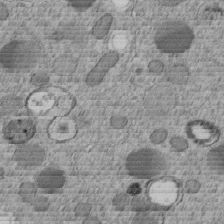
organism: C. elegans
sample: C. elegans embryo early stage